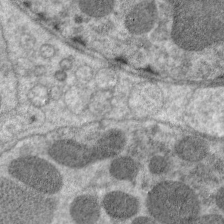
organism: C. elegans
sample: Pharynx